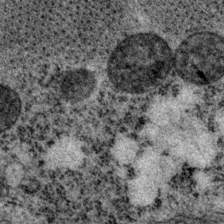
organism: P. pacificus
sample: Pharynx